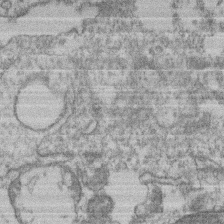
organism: Mouse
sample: T cell stromal cell synapse